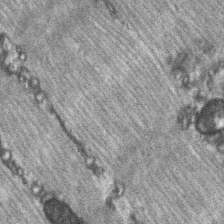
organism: C57BL Mouse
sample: Soleus